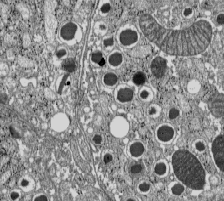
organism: C57BL Mouse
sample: Pancreatic islet